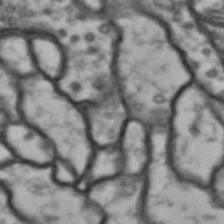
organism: Drosophila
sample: Brain